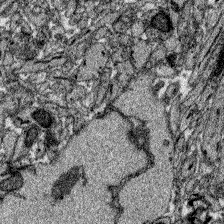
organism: Zebrafish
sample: Larval olfactory bulb